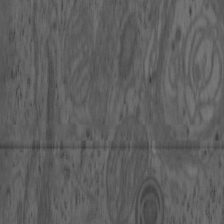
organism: Human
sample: HeLa cells